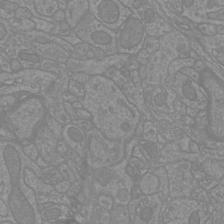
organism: Mouse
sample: Cortical neurons